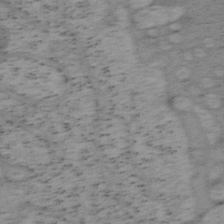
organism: Mouse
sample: OT-I killer T cells with ID8 ovarian cancer cells